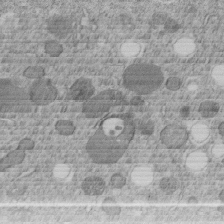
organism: C. elegans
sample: C. elegans embryo early stage